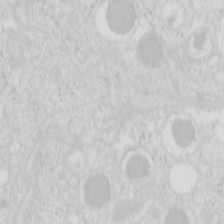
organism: Mouse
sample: Pancreas